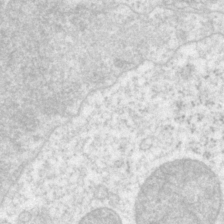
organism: P. pacificus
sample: Pharynx